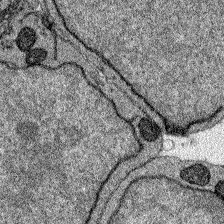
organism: Zebrafish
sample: Larval olfactory bulb